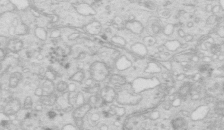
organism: Mouse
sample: Multiciliated cells